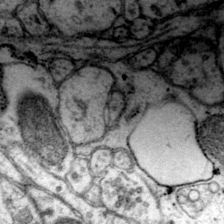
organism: Mouse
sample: Primary visual cortex